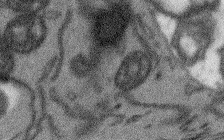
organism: Arabidopsis thaliana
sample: Root tip